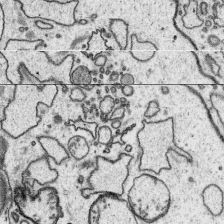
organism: Platynereis dumerilii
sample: Parapodia